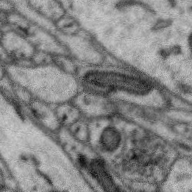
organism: Zebra finch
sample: Brain